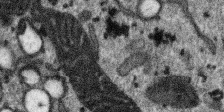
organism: Human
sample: Lung epithelial cells infected with SARS-CoV-2